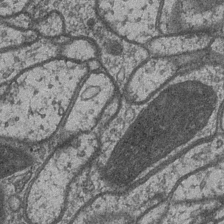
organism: Drosophila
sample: Optic medulla